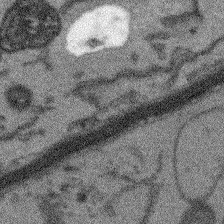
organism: Arabidopsis thaliana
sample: Root tip